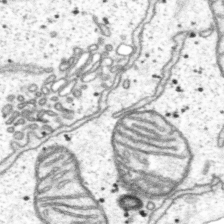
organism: Human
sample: HeLa cells